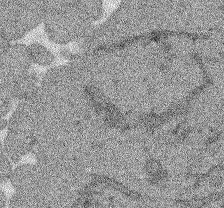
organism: Human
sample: HeLa cells